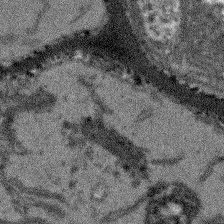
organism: Arabidopsis thaliana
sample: Root tip